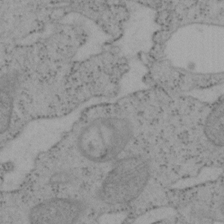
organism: Mouse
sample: OT-I killer T cells with ID8 ovarian cancer cells